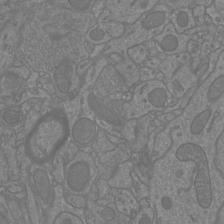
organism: Mouse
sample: Cortical neurons